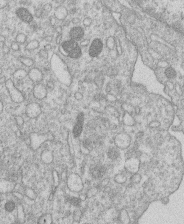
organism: Human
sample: Macrophage cells